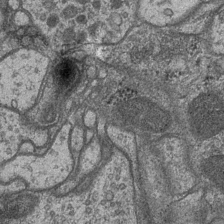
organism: Drosophila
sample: Optic medulla